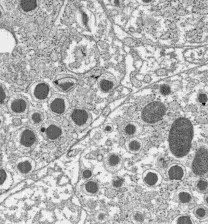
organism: C57BL Mouse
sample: Pancreatic islet